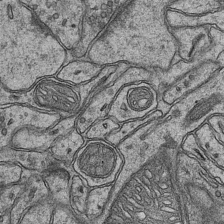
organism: Mouse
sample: CA1 Hippocampus